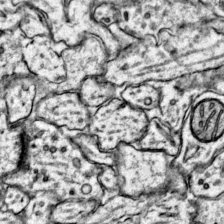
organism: Mouse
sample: Primary visual cortex